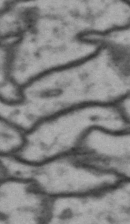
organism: Drosophila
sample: Brain